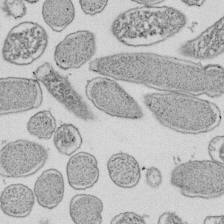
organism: E. coli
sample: Bacterial nucleoid